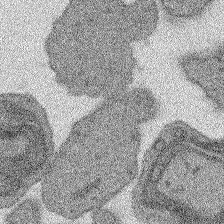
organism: Human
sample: HeLa cells